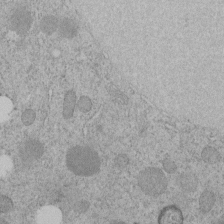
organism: C. elegans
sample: C. elegans embryo early stage